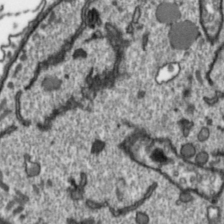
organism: Toxoplasma gondii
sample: Parasites in a vacuole inside a host cell